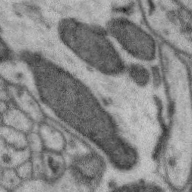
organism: Zebra finch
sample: Brain